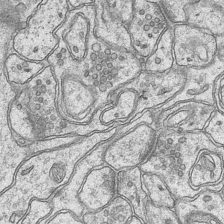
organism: Mouse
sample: CA1 Hippocampus